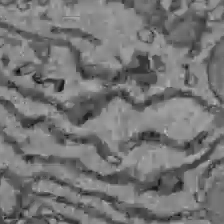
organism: C57BL Mouse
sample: Liver